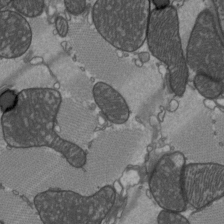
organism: C57BL Mouse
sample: Heart